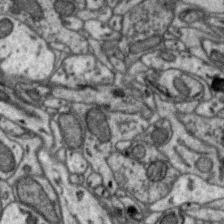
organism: Zebra finch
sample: Brain